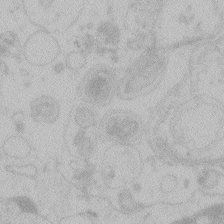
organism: Zebrafish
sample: Macrophage infected with Toxoplasma gondii